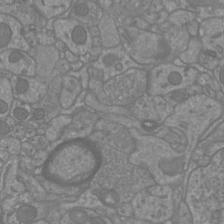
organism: Mouse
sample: Cortical neurons